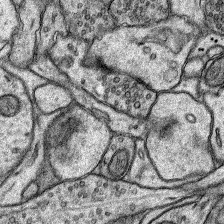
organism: Rat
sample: Hippocampus